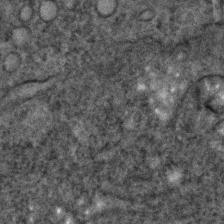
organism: C. elegans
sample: C. elegans embryo